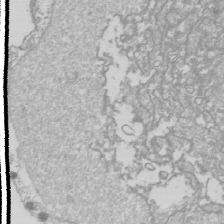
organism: Drosophila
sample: Cell division; meiosis; drosophila spermatocytes